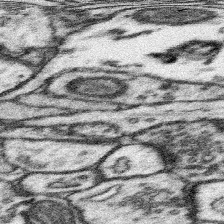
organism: Mouse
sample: Somatosensory cortex neuropil